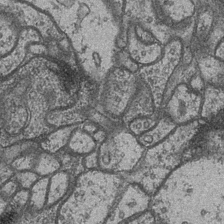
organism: Drosophila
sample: Optic medulla